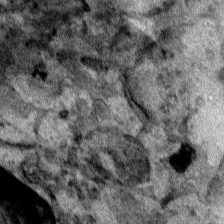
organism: Human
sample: Mitochondria in HCT116 cells